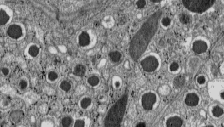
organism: C57BL Mouse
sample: Pancreatic islet